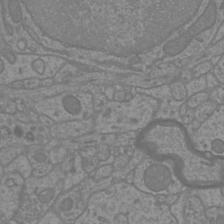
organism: Mouse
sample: Cortical neurons